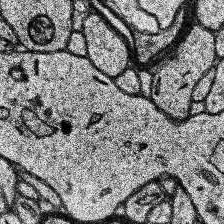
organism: Human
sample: Temporal Lobe